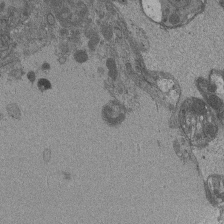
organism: Drosophila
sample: Antenna